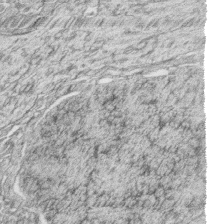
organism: Zebrafish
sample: synaptic ribbons in rod cells and cone cells